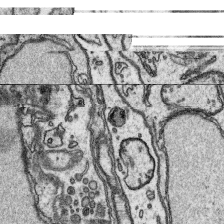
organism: Platynereis dumerilii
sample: Parapodia